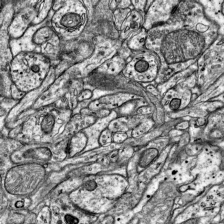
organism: Mouse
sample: Visual Cortex